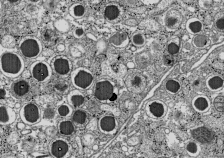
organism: C57BL Mouse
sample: Pancreatic islet